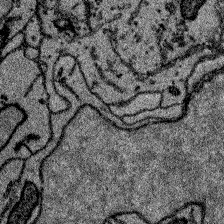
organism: Zebrafish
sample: Larval olfactory bulb